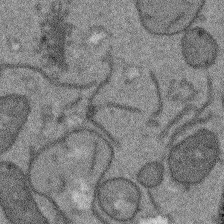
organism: Arabidopsis thaliana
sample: Root tip